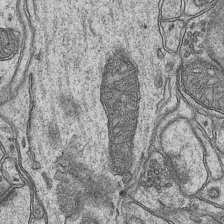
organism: Mouse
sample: CA1 Hippocampus